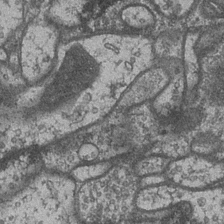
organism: Drosophila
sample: Optic medulla